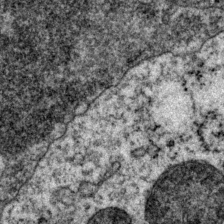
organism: P. pacificus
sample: Pharynx